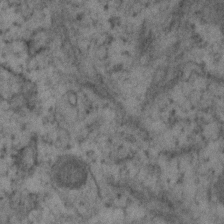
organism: Human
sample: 1205lu cells